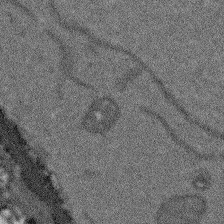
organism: Arabidopsis thaliana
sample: Root tip